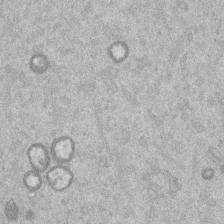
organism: Mouse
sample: Dividing mouse embryo 1 cell stage